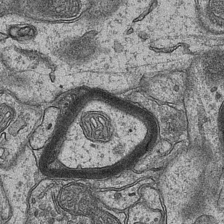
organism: Mouse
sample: CA1 Hippocampus